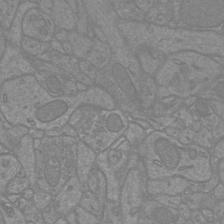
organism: Mouse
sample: Cortical neurons